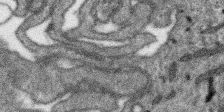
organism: Human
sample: Lung epithelial cells infected with SARS-CoV-2